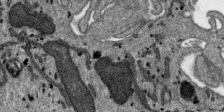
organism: Human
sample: Lung epithelial cells, uninfected (mock) control